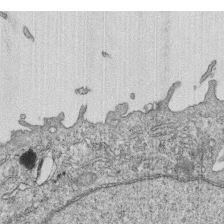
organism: Human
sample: HeLa cell HIV synapse